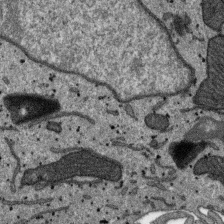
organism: Human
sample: Lung epithelial cells, uninfected (mock) control